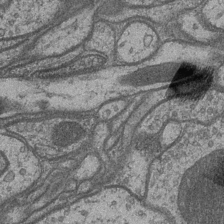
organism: Drosophila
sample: Optic medulla